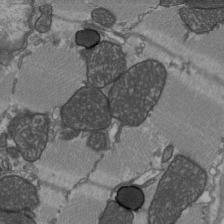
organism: C57BL Mouse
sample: Heart